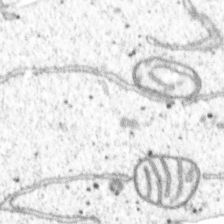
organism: Human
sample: HeLa cells